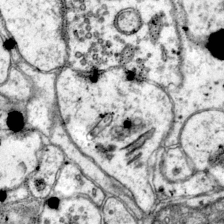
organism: Mouse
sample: Primary visual cortex